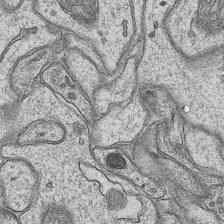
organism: Mouse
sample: CA1 Hippocampus